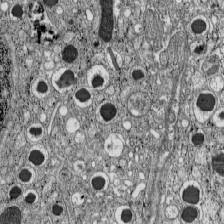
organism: C57BL Mouse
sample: Pancreatic islet